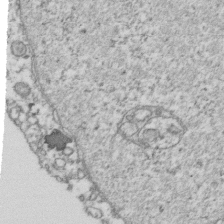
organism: Human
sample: Activated Jurkat CD4+ T cells